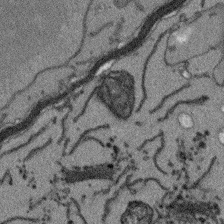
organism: Arabidopsis thaliana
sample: Root tip